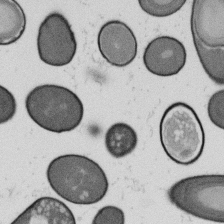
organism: B. subtilis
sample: Bacterial spore